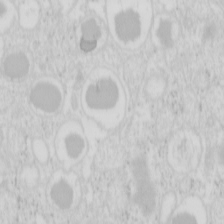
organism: Mouse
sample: Pancreas